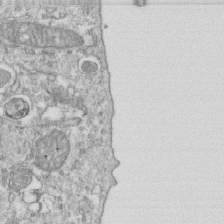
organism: Mouse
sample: Activated OT-1 CD8+ T cells